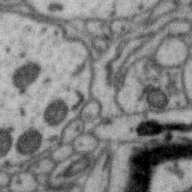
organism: Zebra finch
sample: Brain